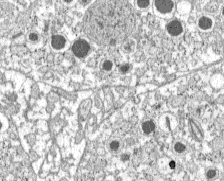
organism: C57BL Mouse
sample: Pancreatic islet